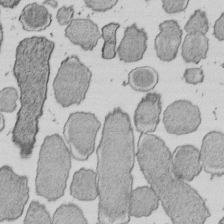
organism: E. coli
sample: Bacterial nucleoid